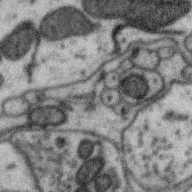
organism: Zebra finch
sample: Brain